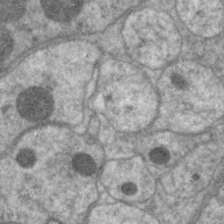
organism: C. elegans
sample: Pharynx